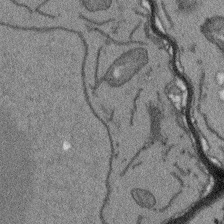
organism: Arabidopsis thaliana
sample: Root tip